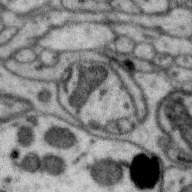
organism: Zebra finch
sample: Brain